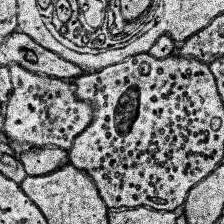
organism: Human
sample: Temporal Lobe